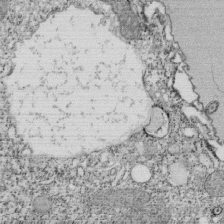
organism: Tetrahymena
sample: Cilia in tetrahymena